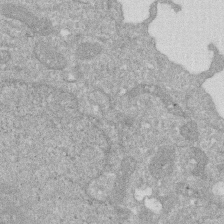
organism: Human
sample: HIV infected U937 cells